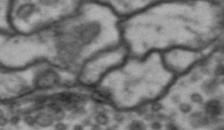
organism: Drosophila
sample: Brain